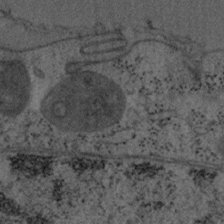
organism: Human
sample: HeLa cells